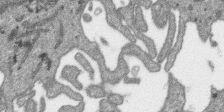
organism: Human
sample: Lung epithelial cells infected with SARS-CoV-2